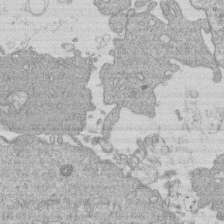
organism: Human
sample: Macrophage cells